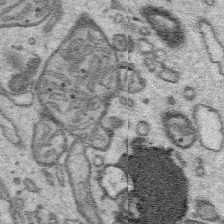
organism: Platynereis dumerilii